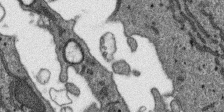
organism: Human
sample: Lung epithelial cells infected with SARS-CoV-2